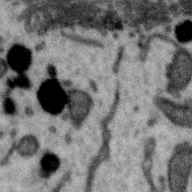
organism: Zebra finch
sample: Brain